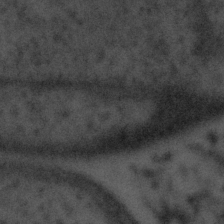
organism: Tuwongella immobilis